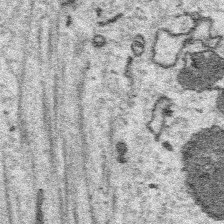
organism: Platynereis dumerilii